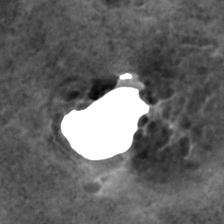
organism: C. elegans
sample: C. elegans embryo